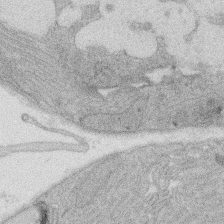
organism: Rat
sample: Salivary granule